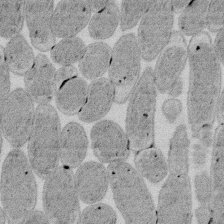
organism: E. coli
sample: Bacterial nucleoid